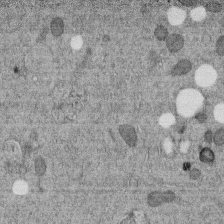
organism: C. elegans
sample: C. elegans embryo early stage